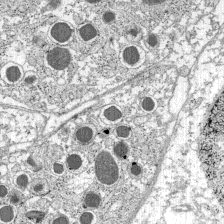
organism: C57BL Mouse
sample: Pancreatic islet